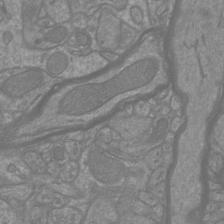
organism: Mouse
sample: Cortical neurons